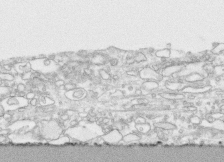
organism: Human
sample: CRL-1474